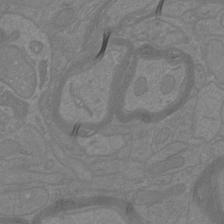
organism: Mouse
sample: Cortical neurons